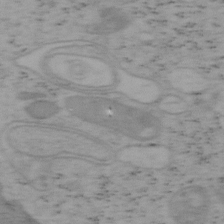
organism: Mouse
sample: OT-I killer T cells with ID8 ovarian cancer cells